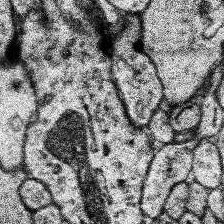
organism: Human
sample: Temporal Lobe